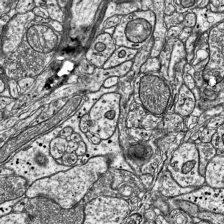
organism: Mouse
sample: Visual Cortex